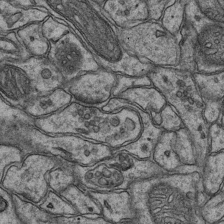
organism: Mouse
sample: CA1 Hippocampus